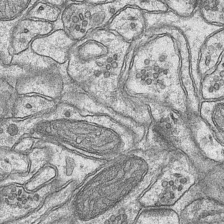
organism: Mouse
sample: CA1 Hippocampus